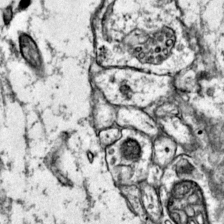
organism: Mouse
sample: Primary visual cortex